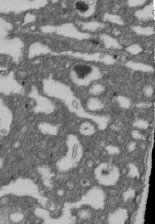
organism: Drosophila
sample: Nephrocyte